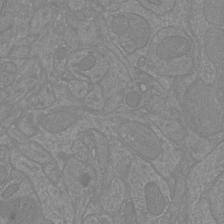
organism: Mouse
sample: Cortical neurons